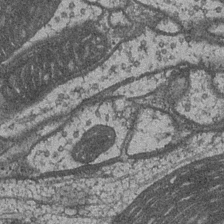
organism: Drosophila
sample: Optic medulla